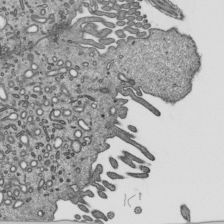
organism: Mouse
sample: Mouse epididymis efferent ductule cilia